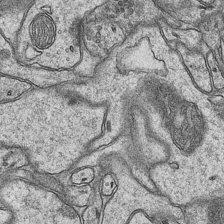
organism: Mouse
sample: CA1 Hippocampus